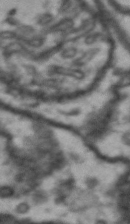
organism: Drosophila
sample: Brain